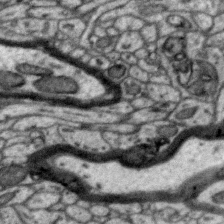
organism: Zebra finch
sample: Brain